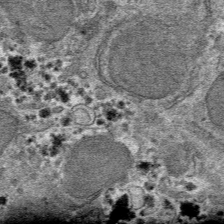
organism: Mouse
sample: Mouse hepatocytes